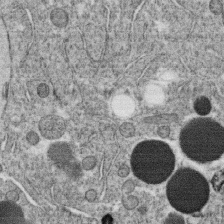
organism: C. elegans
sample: C. elegans oocyte; sperm cells